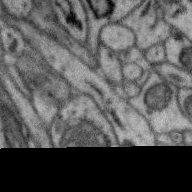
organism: Zebra finch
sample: Brain